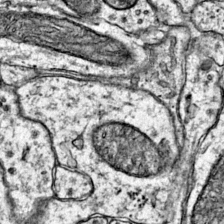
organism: Mouse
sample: Primary visual cortex